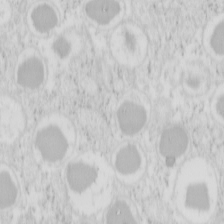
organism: Mouse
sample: Pancreas